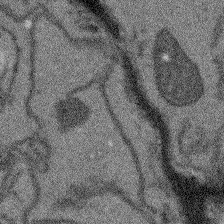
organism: Arabidopsis thaliana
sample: Root tip